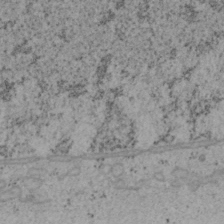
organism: Human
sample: HeLa cells